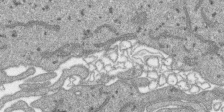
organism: Human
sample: Lung epithelial cells infected with SARS-CoV-2